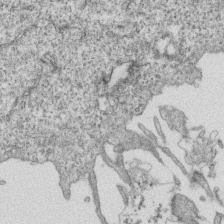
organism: Human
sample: HeLa cell HIV synapse